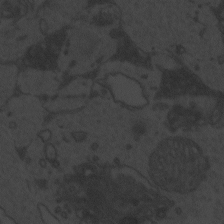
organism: Zebrafish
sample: Macrophage infected with Toxoplasma gondii